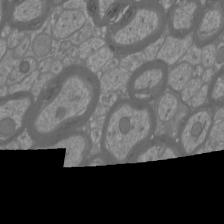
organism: Mouse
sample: Cortical neurons